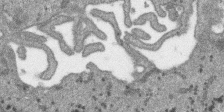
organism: Human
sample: Lung epithelial cells infected with SARS-CoV-2